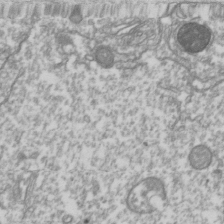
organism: Drosophila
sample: Cell division; meiosis; drosophila spermatocytes